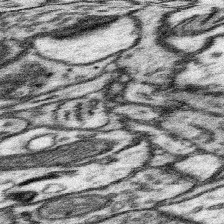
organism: Mouse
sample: Somatosensory cortex neuropil